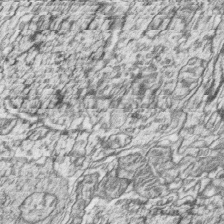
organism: Zebrafish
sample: synaptic ribbons in rod cells and cone cells